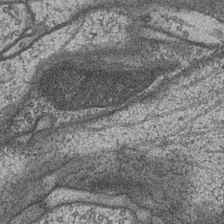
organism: Drosophila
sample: Optic medulla